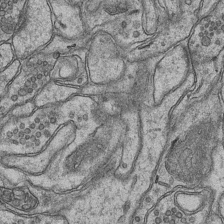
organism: Mouse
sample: CA1 Hippocampus